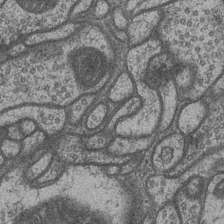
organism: Drosophila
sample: Optic medulla